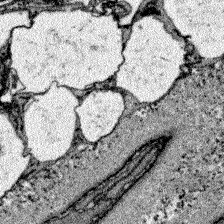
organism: Zebrafish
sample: Larval olfactory bulb